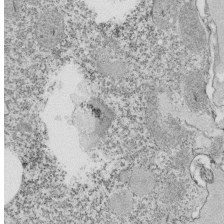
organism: Tetrahymena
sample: Cilia in tetrahymena